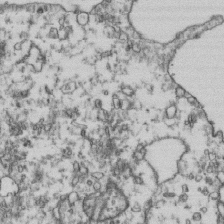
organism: Human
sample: Activated Jurkat CD4+ T cells